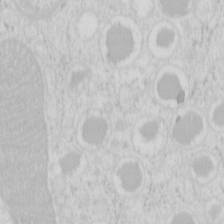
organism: Mouse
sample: Pancreas